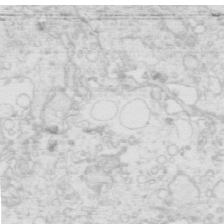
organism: Mouse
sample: Multiciliated cells